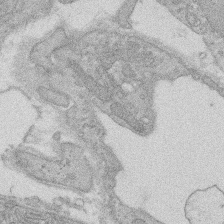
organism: Rat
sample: Salivary granule